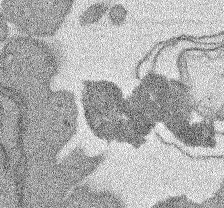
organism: Human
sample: HeLa cells